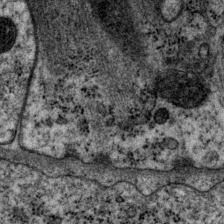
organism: P. pacificus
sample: Pharynx